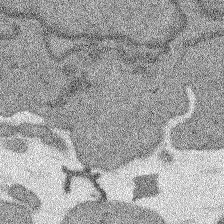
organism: Human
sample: HeLa cells